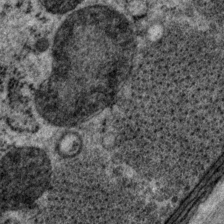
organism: P. pacificus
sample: Pharynx